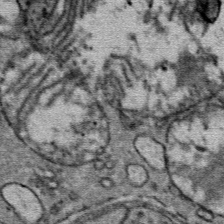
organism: Mouse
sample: Mouse Salivary gland